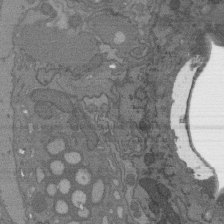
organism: C. elegans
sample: AFD neurons C. elegans